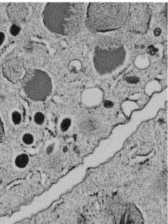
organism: C. elegans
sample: C. elegans embryo early stage